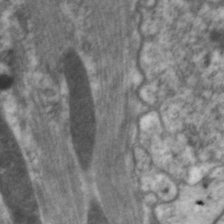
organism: C. elegans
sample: Pharynx